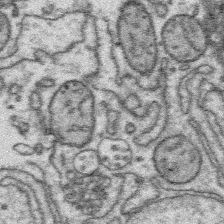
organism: Platynereis dumerilii